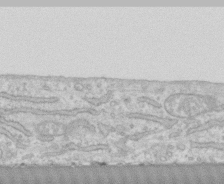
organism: Human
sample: CRL-1474